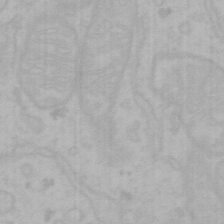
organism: Mouse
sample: Choroid plexus